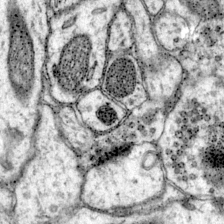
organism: Mouse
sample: Primary visual cortex